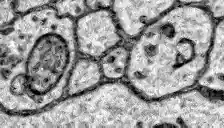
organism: Zebrafish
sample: Brain